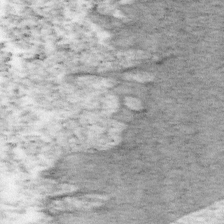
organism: Mouse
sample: OT-I killer T cells with ID8 ovarian cancer cells